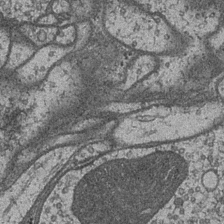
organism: Drosophila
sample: Optic medulla